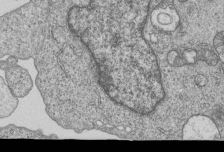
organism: Human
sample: MDA-MB-231 cells